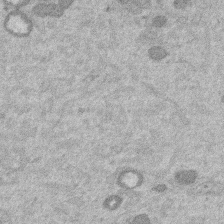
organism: Mouse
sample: Dividing mouse embryo 1 cell stage